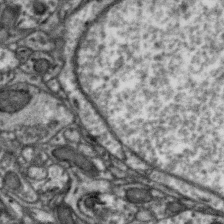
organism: Zebra finch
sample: Brain